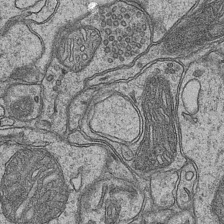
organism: Mouse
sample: CA1 Hippocampus